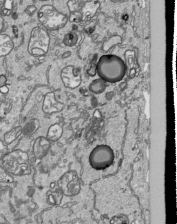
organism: Human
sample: Mitochondria in HCT116 cells